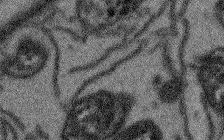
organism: Arabidopsis thaliana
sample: Root tip